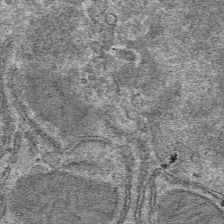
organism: Mouse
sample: Mouse hepatocytes